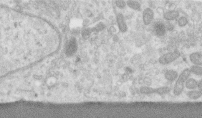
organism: Human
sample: Centriole in RPE cells